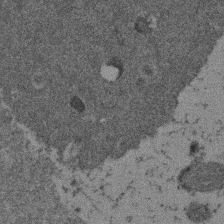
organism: Mouse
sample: Dividing mouse embryo 1 cell stage